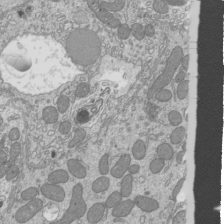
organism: Mouse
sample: Cilia; mouse epididymis